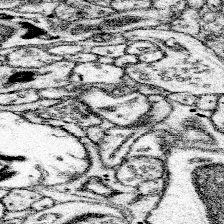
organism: Mouse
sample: Somatosensory cortex neuropil